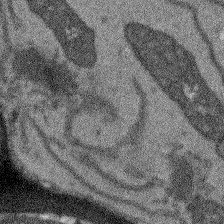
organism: Arabidopsis thaliana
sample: Root tip